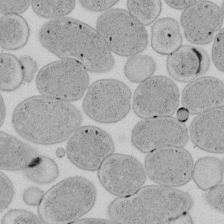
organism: E. coli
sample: Bacterial nucleoid